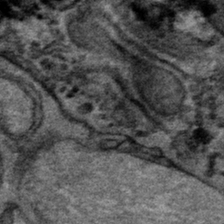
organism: Mouse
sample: Mouse hepatocytes